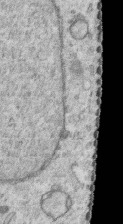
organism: Human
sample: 1205lu cells